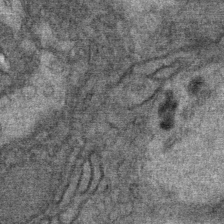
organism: Mouse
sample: Mouse Salivary gland